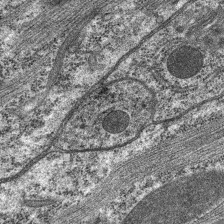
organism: C. elegans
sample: Pharynx